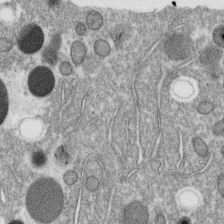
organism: C. elegans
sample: C. elegans oocyte; sperm cells